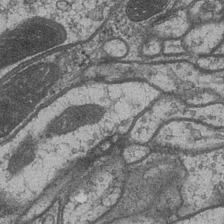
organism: Drosophila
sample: Optic medulla